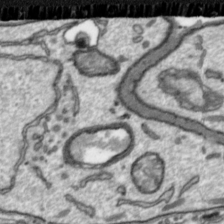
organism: Toxoplasma gondii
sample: Parasites in a vacuole inside a host cell